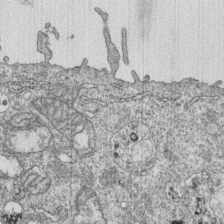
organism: Human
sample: HeLa cell HIV synapse